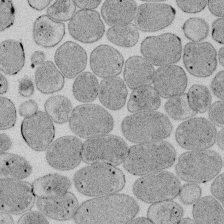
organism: E. coli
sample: Bacterial nucleoid